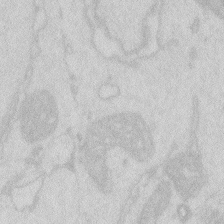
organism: Zebrafish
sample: Macrophage